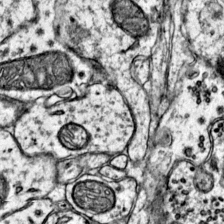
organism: Mouse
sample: Primary visual cortex